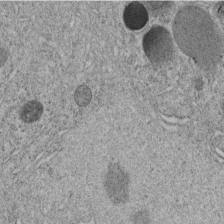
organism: C. elegans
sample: C. elegans embryo early stage